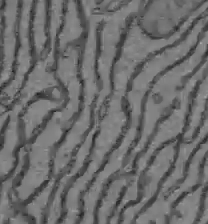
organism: C57BL Mouse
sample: Liver